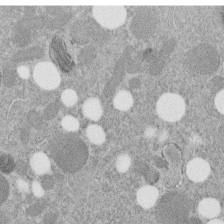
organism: C. elegans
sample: C. elegans embryo early stage